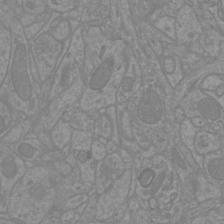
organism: Mouse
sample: Cortical neurons